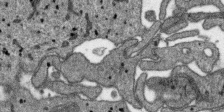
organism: Human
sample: Lung epithelial cells, uninfected (mock) control